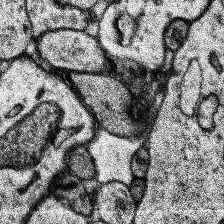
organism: Human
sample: Temporal Lobe